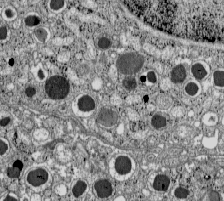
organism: C57BL Mouse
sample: Pancreatic islet